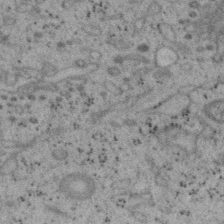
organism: Human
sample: HeLa cells